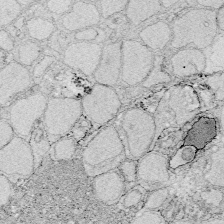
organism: Zebrafish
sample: Whole-Brain